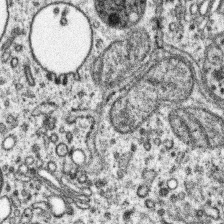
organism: Human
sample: HeLa cells